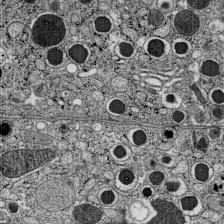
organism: C57BL Mouse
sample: Pancreatic islet